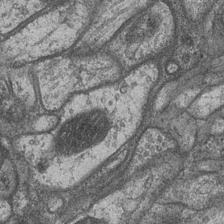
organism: Drosophila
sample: Optic medulla